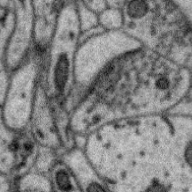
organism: Zebra finch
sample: Brain